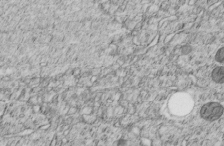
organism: C. elegans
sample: C. elegans embryo early stage